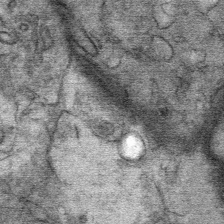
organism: Mouse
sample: Mouse Salivary gland